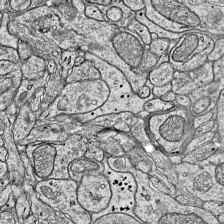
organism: Mouse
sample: Visual Cortex